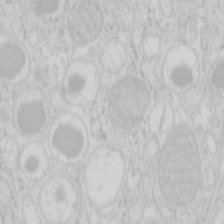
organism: Mouse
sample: Pancreas